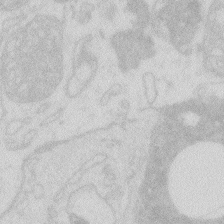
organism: Zebrafish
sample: Macrophage